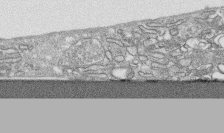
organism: Human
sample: CRL-1474